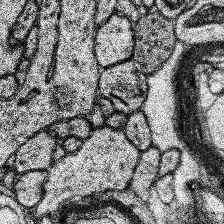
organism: Human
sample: Temporal Lobe